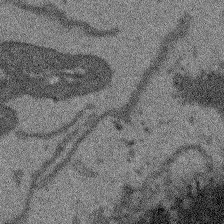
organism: Arabidopsis thaliana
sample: Root tip